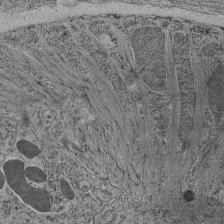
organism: C. elegans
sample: C. elegans pharynx